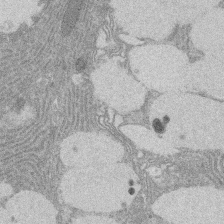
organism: Rat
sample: Salivary granule